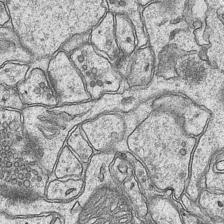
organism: Mouse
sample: CA1 Hippocampus